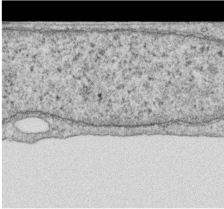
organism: Human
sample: Centriole in RPE cells